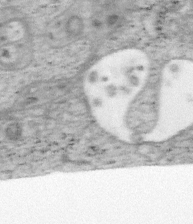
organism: Mouse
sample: OT-I killer T cells with ID8 ovarian cancer cells